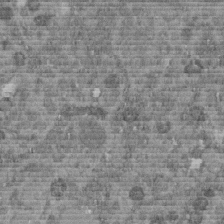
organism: C. elegans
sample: C. elegans embryo early stage